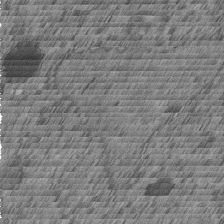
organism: C. elegans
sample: C. elegans embryo early stage